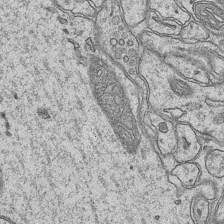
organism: Mouse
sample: CA1 Hippocampus